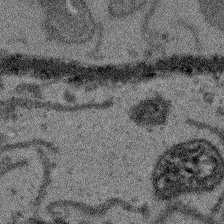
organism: Arabidopsis thaliana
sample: Root tip